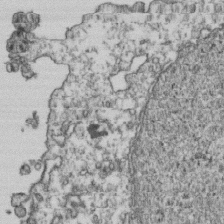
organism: Human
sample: Activated Jurkat CD4+ T cells